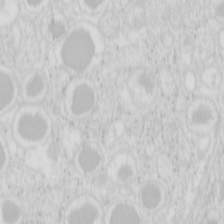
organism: Mouse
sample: Pancreas